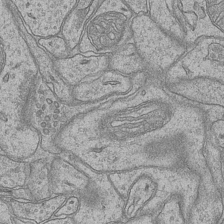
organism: Mouse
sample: CA1 Hippocampus